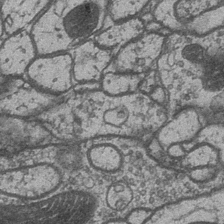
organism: Drosophila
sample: Optic medulla